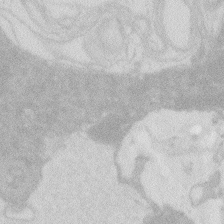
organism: Zebrafish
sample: Macrophage